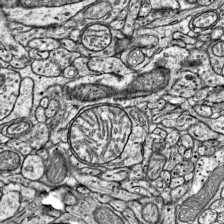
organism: Mouse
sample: Visual Cortex